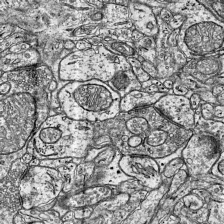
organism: Mouse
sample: Visual Cortex